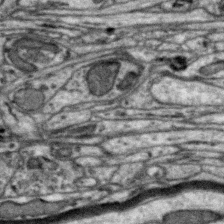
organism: Zebra finch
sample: Brain